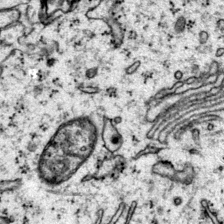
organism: Mouse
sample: Primary visual cortex